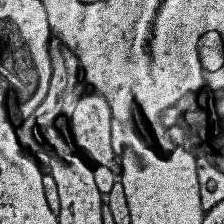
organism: Human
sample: Temporal Lobe